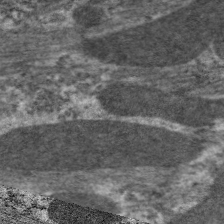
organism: C. elegans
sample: Pharynx